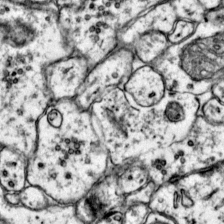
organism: Mouse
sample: Primary visual cortex